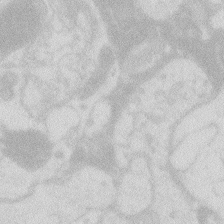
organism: Zebrafish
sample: Macrophage